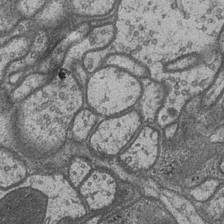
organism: Drosophila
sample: Optic medulla